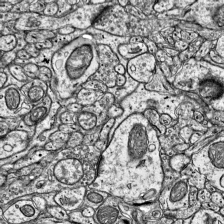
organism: Mouse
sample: Visual Cortex